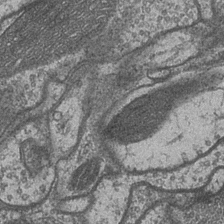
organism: Drosophila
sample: Optic medulla